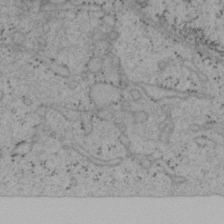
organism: Human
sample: HeLa cells